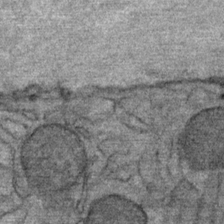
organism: Mouse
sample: Mouse Salivary gland